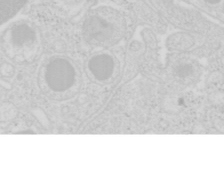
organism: Mouse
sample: Pancreas